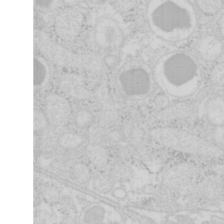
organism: Mouse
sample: Pancreas